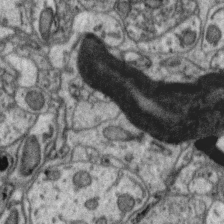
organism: Zebra finch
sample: Brain